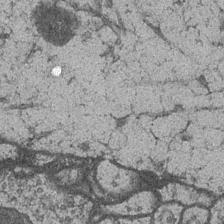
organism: Drosophila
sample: Optic medulla